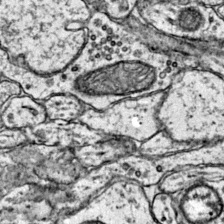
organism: Mouse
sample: Primary visual cortex